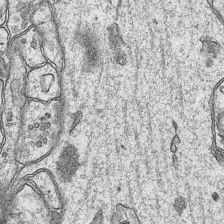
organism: Mouse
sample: CA1 Hippocampus